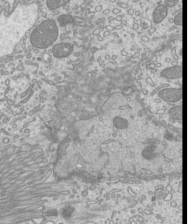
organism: Mouse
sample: Cilia; mouse epididymis